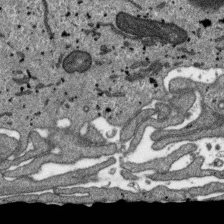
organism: Human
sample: Lung epithelial cells, uninfected (mock) control